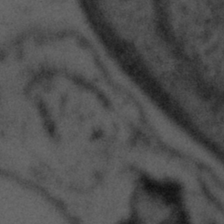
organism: Tuwongella immobilis